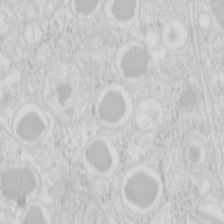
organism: Mouse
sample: Pancreas